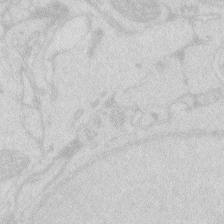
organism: Zebrafish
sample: Macrophage